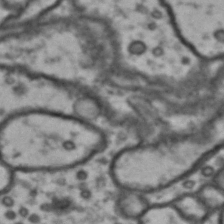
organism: Drosophila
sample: Brain